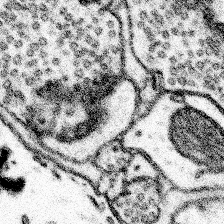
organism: Mouse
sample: Somatosensory cortex neuropil